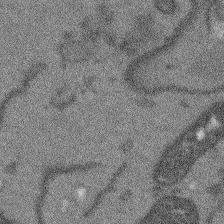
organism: Arabidopsis thaliana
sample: Root tip